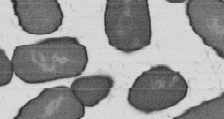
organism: B. subtilis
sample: Bacterial spore